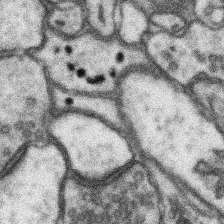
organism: Mouse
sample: Somatosensory cortex neuropil